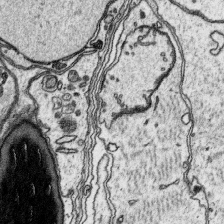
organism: Platynereis dumerilii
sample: Parapodia